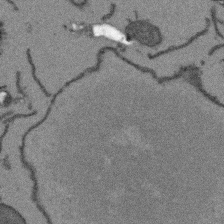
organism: Arabidopsis thaliana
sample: Root tip